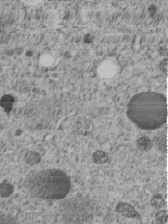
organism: C. elegans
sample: C. elegans embryo early stage